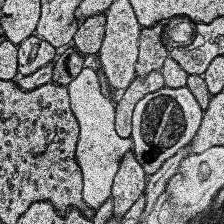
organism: Human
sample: Temporal Lobe